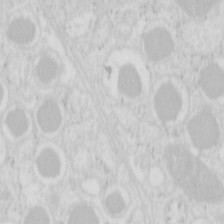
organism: Mouse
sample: Pancreas